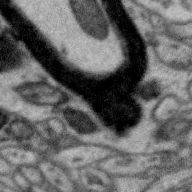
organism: Zebra finch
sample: Brain